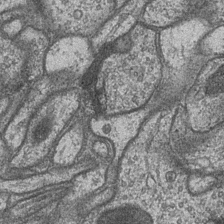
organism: Drosophila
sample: Optic medulla